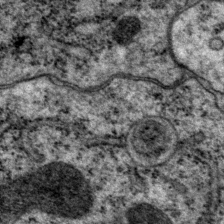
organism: P. pacificus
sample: Pharynx